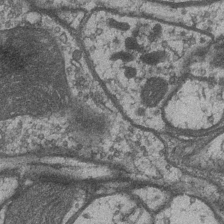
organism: Drosophila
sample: Optic medulla